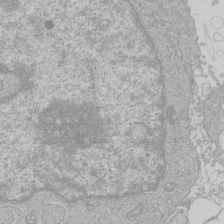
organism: Human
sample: Macrophage cells